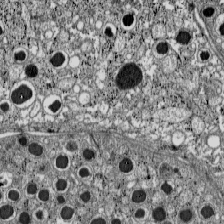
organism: C57BL Mouse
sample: Pancreatic islet